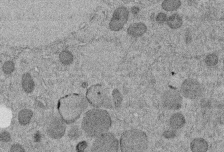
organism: C. elegans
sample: C. elegans embryo early stage